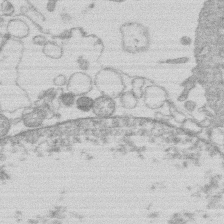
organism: Human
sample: Macrophage cells